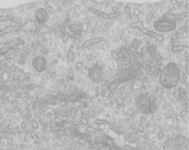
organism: Human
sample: Centriole in RPE cells